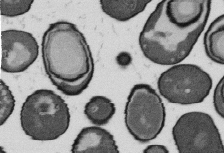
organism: B. subtilis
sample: Bacterial spore